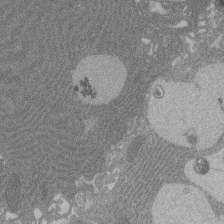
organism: Rat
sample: Salivary granule